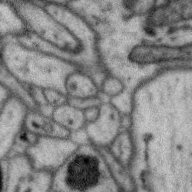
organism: Zebra finch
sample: Brain